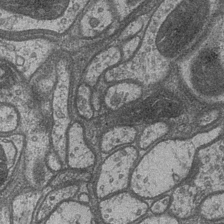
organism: Drosophila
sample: Optic medulla